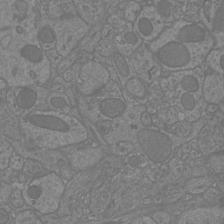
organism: Mouse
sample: Cortical neurons